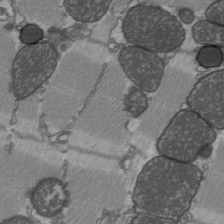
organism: C57BL Mouse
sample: Heart